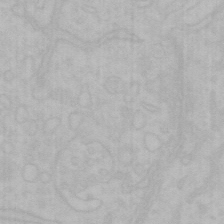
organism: Mouse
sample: Choroid plexus